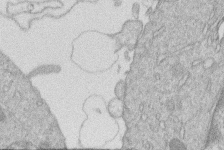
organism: Human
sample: Macrophage cells